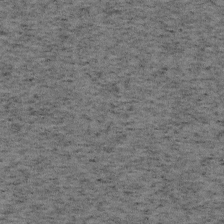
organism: Mouse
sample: OT-I killer T cells with ID8 ovarian cancer cells